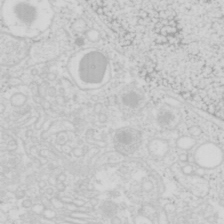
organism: Mouse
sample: Pancreas